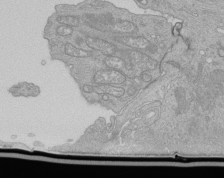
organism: Human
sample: Retinal organoid Rod and Cone cells